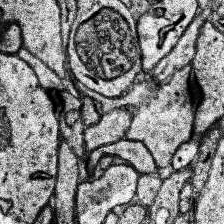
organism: Human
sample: Temporal Lobe